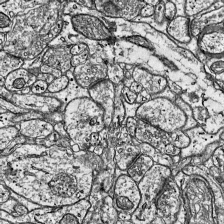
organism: Mouse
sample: Visual Cortex